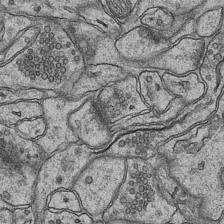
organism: Mouse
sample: CA1 Hippocampus